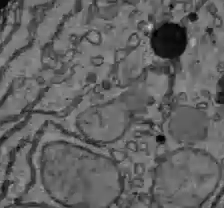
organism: C57BL Mouse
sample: Liver